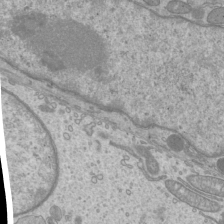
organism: Mouse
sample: Cilia; mouse epididymis